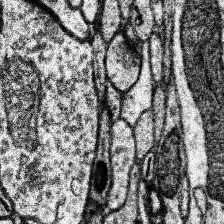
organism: Human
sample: Temporal Lobe